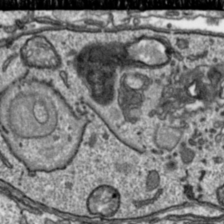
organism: Toxoplasma gondii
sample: Parasites in a vacuole inside a host cell